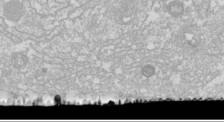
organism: Drosophila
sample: Cell division; meiosis; drosophila spermatocytes